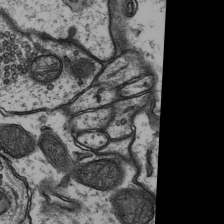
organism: Rat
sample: Hippocampus